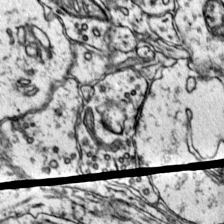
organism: Mouse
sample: Primary visual cortex